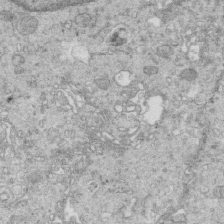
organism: Mouse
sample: Multiciliated cells